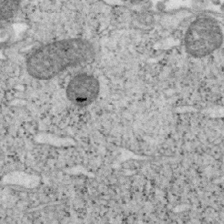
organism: Mouse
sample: OT-I killer T cells with ID8 ovarian cancer cells